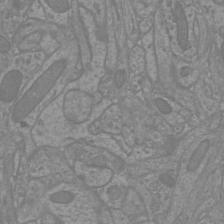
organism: Mouse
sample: Cortical neurons